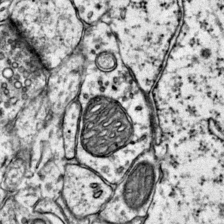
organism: Mouse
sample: Primary visual cortex